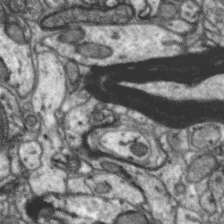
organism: Zebra finch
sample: Brain